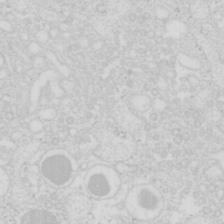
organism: Mouse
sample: Pancreas